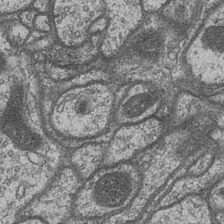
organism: Drosophila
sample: Optic medulla